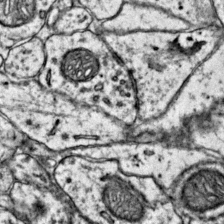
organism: Mouse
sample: Primary visual cortex